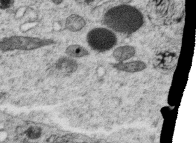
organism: C. elegans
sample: C. elegans oocyte; sperm cells